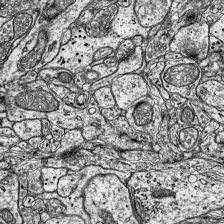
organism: Mouse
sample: Visual Cortex